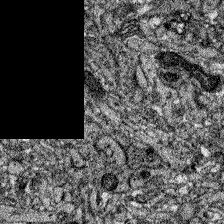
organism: Zebrafish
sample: Larval olfactory bulb